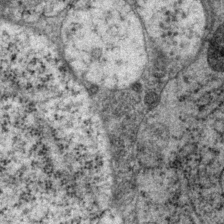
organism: P. pacificus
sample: Pharynx